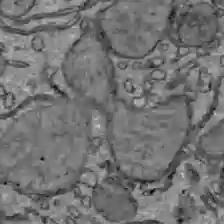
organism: C57BL Mouse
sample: Liver